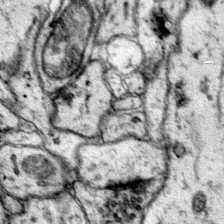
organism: Mouse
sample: Primary visual cortex